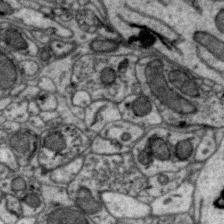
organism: Zebra finch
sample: Brain